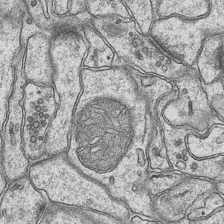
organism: Mouse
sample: CA1 Hippocampus